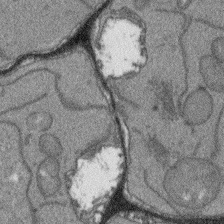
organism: Arabidopsis thaliana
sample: Root tip